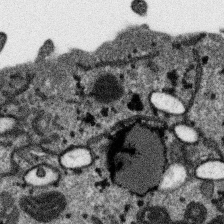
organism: Human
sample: Lung epithelial cells infected with SARS-CoV-2